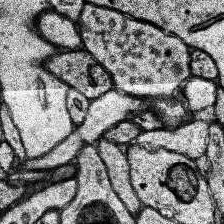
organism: Human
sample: Temporal Lobe